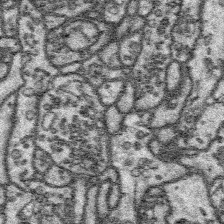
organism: Platynereis dumerilii